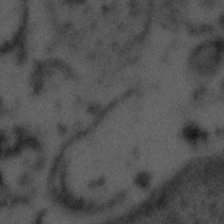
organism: Tuwongella immobilis